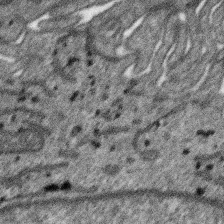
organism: Human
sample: Lung epithelial cells infected with SARS-CoV-2